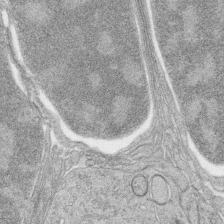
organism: Zebrafish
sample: synaptic ribbons in rod cells and cone cells